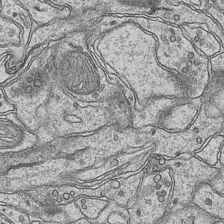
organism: Mouse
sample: CA1 Hippocampus